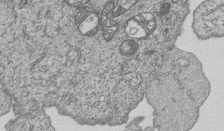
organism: Human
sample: MDA-MB-231 cells